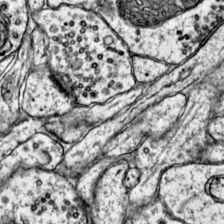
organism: Mouse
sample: Primary visual cortex